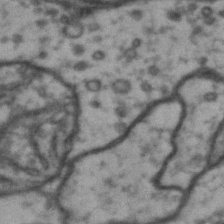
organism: Drosophila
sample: Brain